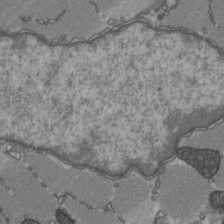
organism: C57BL Mouse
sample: Heart